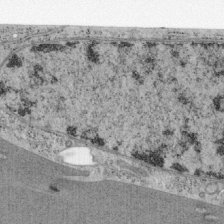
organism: Human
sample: HeLa cells